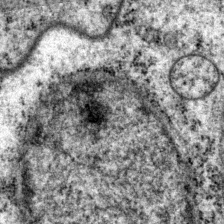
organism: P. pacificus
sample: Pharynx